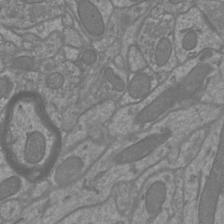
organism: Mouse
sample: Cortical neurons